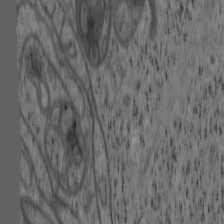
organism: Human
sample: HeLa cells